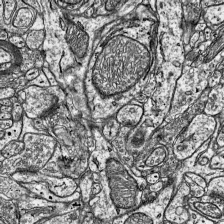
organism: Mouse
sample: Visual Cortex